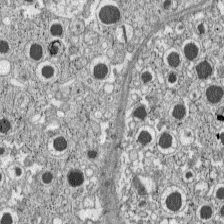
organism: C57BL Mouse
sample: Pancreatic islet